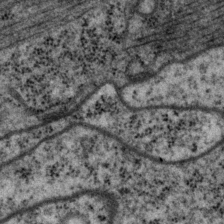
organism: P. pacificus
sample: Pharynx